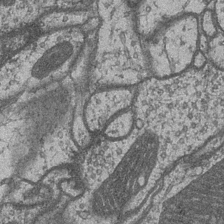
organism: Drosophila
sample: Optic medulla